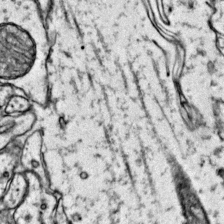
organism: Mouse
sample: Primary visual cortex